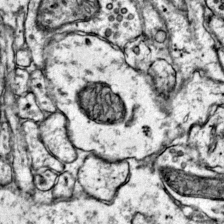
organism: Mouse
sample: Primary visual cortex